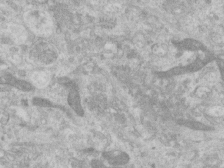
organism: Human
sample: Centriole in RPE cells